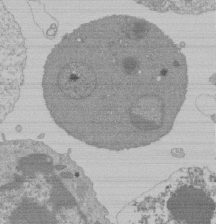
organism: Mouse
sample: Activated Pmel transgenic CD8+ T Cells